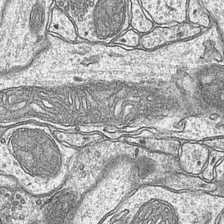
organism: Mouse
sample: CA1 Hippocampus